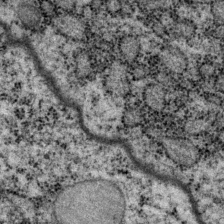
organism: P. pacificus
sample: Pharynx